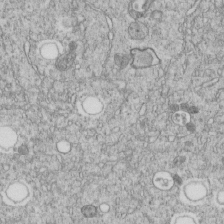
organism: C. elegans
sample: C. elegans embryo early stage